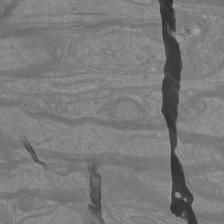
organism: Mouse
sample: Cortical neurons